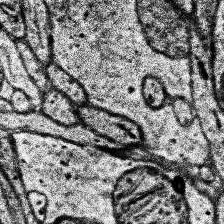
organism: Human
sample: Temporal Lobe